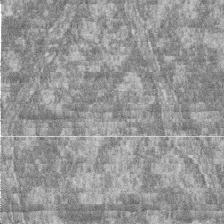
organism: Zebrafish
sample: Cilia; retinal pigment epithelium